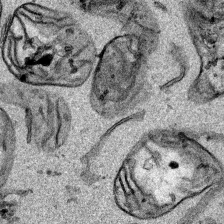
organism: Human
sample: Mitochondria in HCT116 cells